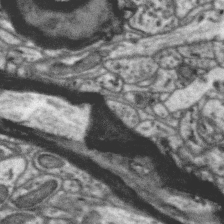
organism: Zebra finch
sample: Brain